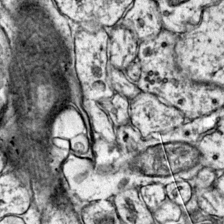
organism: Mouse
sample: Primary visual cortex